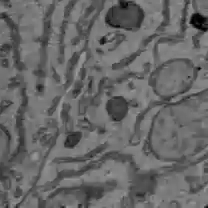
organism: C57BL Mouse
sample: Liver